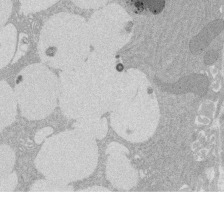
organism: Rat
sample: Salivary granule